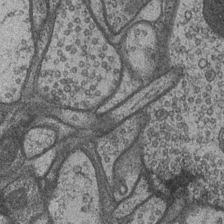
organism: Drosophila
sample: Optic medulla